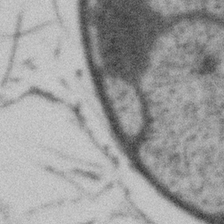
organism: Gemmata obscuriglobus